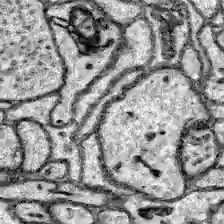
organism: Zebrafish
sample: Brain